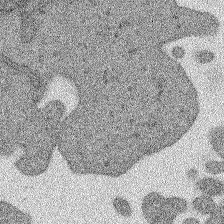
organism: Human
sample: HeLa cells